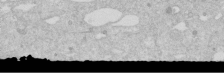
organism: Human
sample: Caco-2 cells